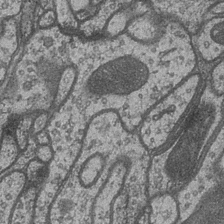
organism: Drosophila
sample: Optic medulla